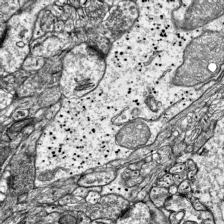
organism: Mouse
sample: Visual Cortex